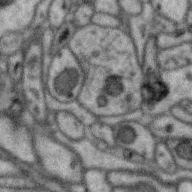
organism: Zebra finch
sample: Brain